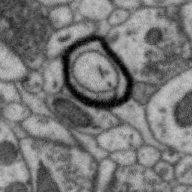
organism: Zebra finch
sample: Brain